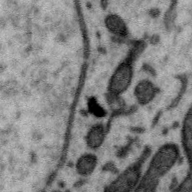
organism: Zebra finch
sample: Brain